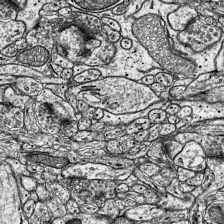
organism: Mouse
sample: Visual Cortex